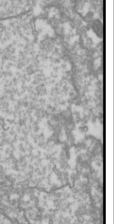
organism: Drosophila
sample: Cell division; meiosis; drosophila spermatocytes